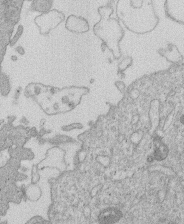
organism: Human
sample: Macrophage cells